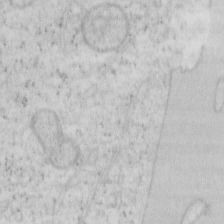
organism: Human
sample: HeLa cells